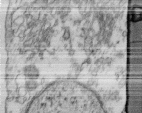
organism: Human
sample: Centriole in fibroblast cells